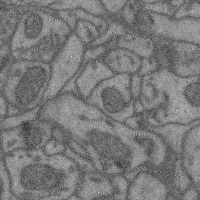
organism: Mouse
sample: Cerebral cortex